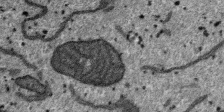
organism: Human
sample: Lung epithelial cells, uninfected (mock) control